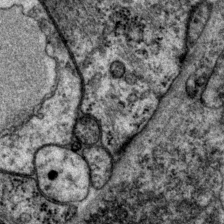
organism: P. pacificus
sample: Pharynx